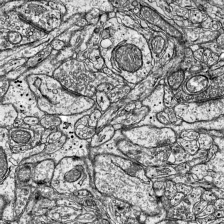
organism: Mouse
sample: Visual Cortex